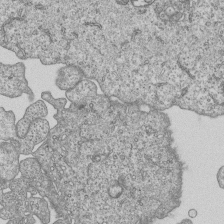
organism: Human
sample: MDA-MB-231 cells